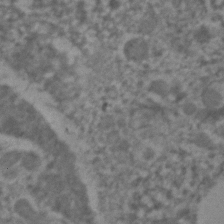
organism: C. elegans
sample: C. elegans embryo